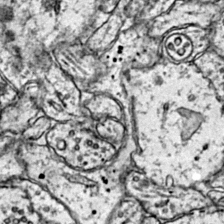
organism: Mouse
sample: Primary visual cortex